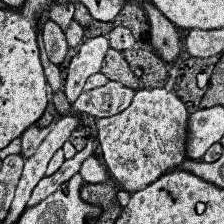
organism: Human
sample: Temporal Lobe